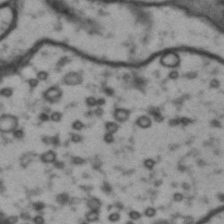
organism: Drosophila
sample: Brain